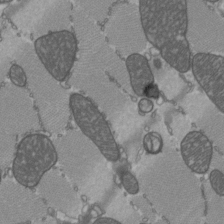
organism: C57BL Mouse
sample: Heart